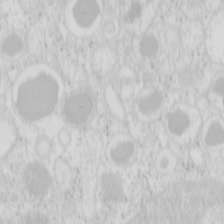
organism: Mouse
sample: Pancreas